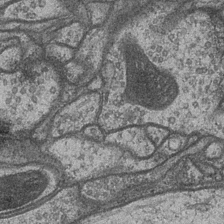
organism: Drosophila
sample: Optic medulla